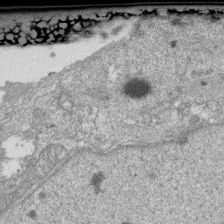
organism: Human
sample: HeLa cell HIV synapse